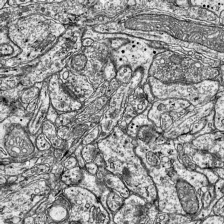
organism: Mouse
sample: Visual Cortex